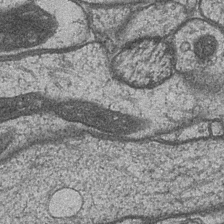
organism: Drosophila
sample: Optic medulla